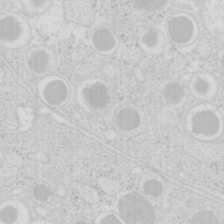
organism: Mouse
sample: Pancreas